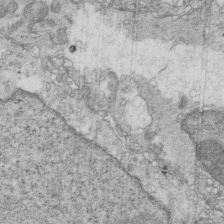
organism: Mouse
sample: Multiciliated cells